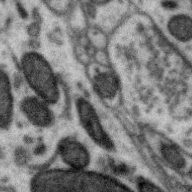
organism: Zebra finch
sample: Brain